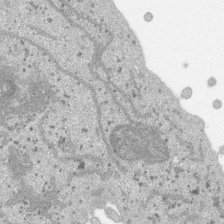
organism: Human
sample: Lung epithelial cells infected with SARS-CoV-2